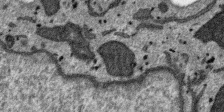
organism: Human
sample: Lung epithelial cells, uninfected (mock) control